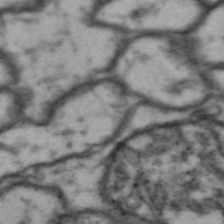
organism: Drosophila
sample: Brain